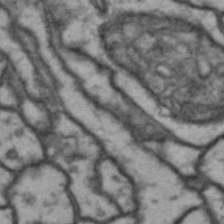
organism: Drosophila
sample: Brain